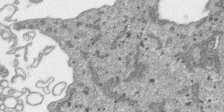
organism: Human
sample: Lung epithelial cells infected with SARS-CoV-2